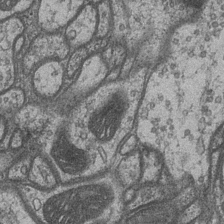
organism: Drosophila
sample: Optic medulla